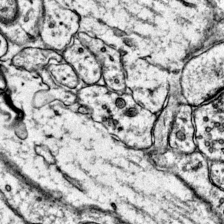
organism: Mouse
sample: Primary visual cortex